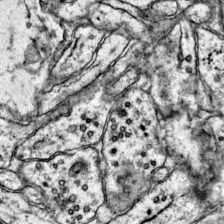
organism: Mouse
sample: Primary visual cortex